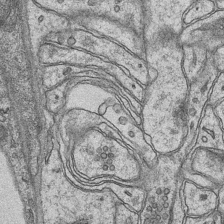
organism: Mouse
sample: CA1 Hippocampus